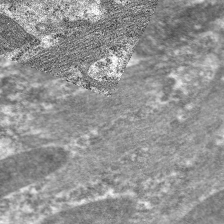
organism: C. elegans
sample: Pharynx